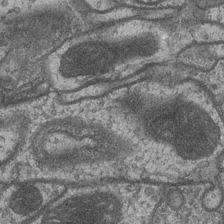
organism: Drosophila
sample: Optic medulla